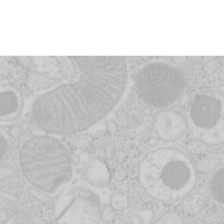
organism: Mouse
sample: Pancreas